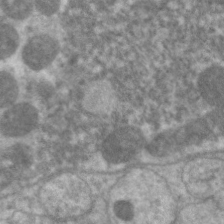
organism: C. elegans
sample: Pharynx